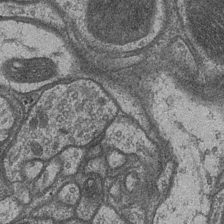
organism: Drosophila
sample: Optic medulla